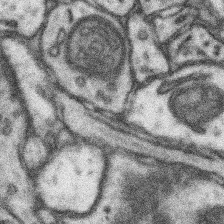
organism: Mouse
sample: Somatosensory cortex neuropil